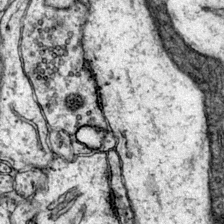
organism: Mouse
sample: Primary visual cortex